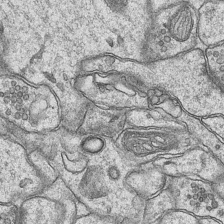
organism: Mouse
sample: CA1 Hippocampus